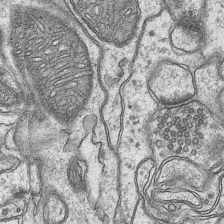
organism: Mouse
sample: CA1 Hippocampus